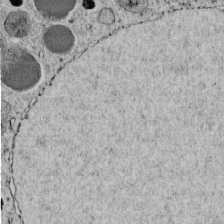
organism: C. elegans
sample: C. elegans embryo early stage